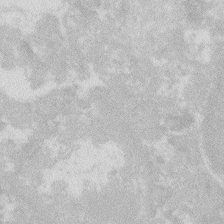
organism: Zebrafish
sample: Macrophage